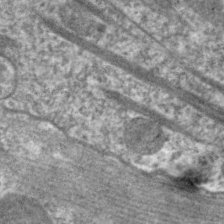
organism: C. elegans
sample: Pharynx